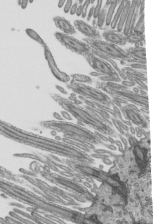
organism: Mouse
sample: Mouse epididymis efferent ductule cilia